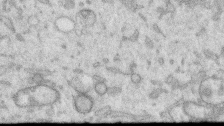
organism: Human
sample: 1205lu cells